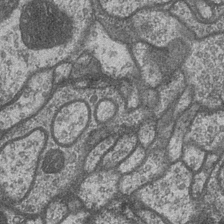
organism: Drosophila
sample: Optic medulla